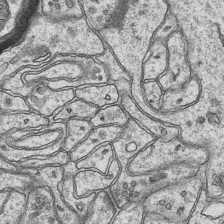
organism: Mouse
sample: CA1 Hippocampus